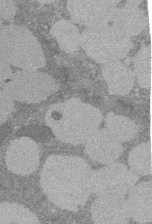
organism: Rat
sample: Salivary granule